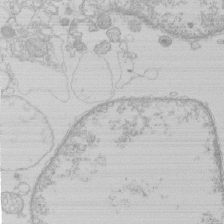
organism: Human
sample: Macrophage cells